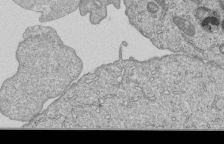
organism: Human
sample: MDA-MB-231 cells